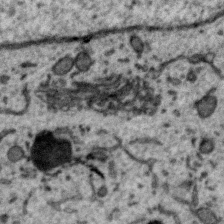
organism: Zebra finch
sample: Brain